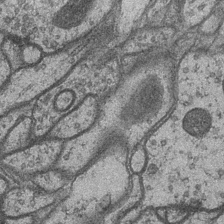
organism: Drosophila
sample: Optic medulla